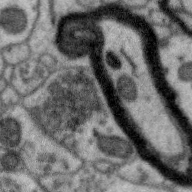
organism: Zebra finch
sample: Brain